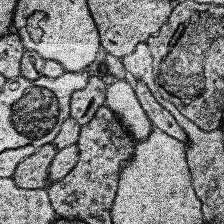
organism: Human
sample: Temporal Lobe